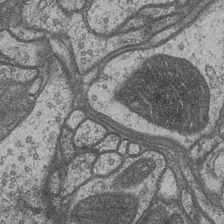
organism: Drosophila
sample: Optic medulla